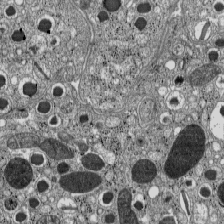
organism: C57BL Mouse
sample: Pancreatic islet